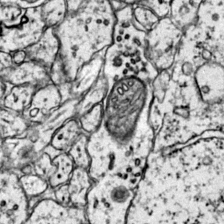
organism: Mouse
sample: Primary visual cortex